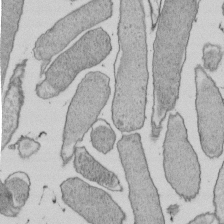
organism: E. coli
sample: Bacterial nucleoid